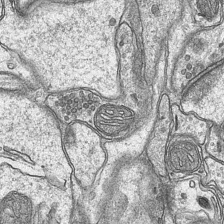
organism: Mouse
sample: CA1 Hippocampus